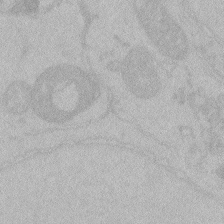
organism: Zebrafish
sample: Macrophage infected with Toxoplasma gondii